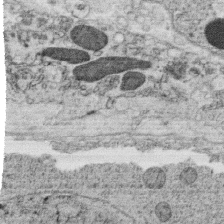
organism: C. elegans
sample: C. elegans oocyte; sperm cells